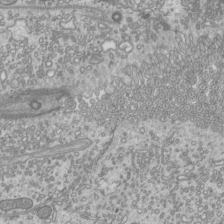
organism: Mouse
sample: Cilia; mouse epididymis